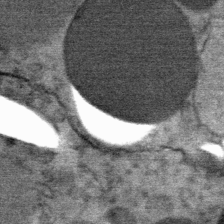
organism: Mouse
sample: Mouse Salivary gland